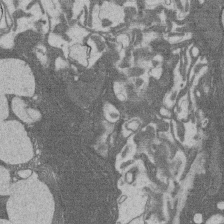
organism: Rat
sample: Salivary granule